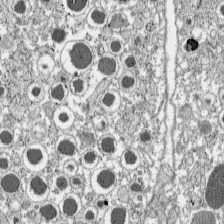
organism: C57BL Mouse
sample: Pancreatic islet